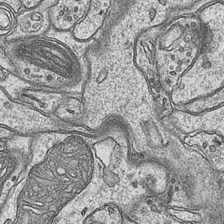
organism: Mouse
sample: CA1 Hippocampus